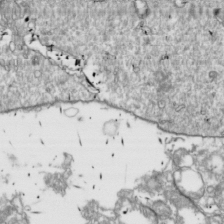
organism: Drosophila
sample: Cell division; meiosis; drosophila spermatocytes